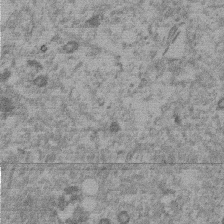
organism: Mouse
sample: Dividing mouse embryo 1 cell stage